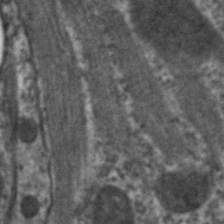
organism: C. elegans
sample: Pharynx